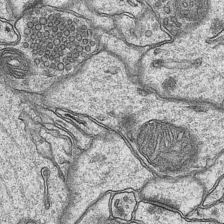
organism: Mouse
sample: CA1 Hippocampus